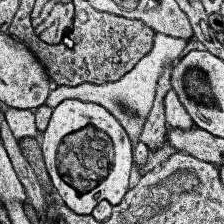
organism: Human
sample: Temporal Lobe